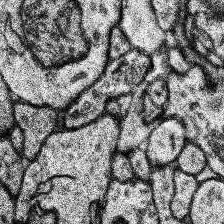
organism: Human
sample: Temporal Lobe